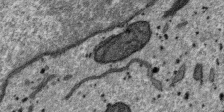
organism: Human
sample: Lung epithelial cells, uninfected (mock) control